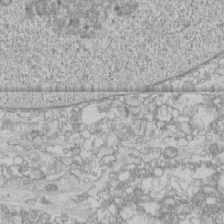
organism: Human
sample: CRL-1474